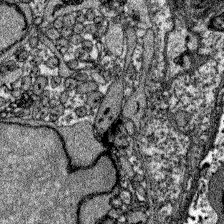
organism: Zebrafish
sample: Larval olfactory bulb